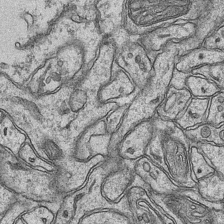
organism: Mouse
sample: CA1 Hippocampus